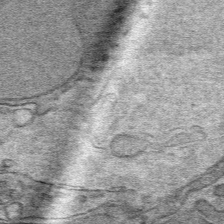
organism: Mouse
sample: Mouse hepatocytes